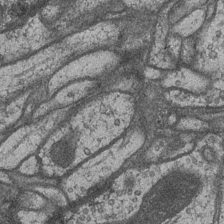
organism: Drosophila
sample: Optic medulla